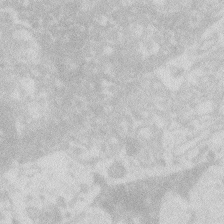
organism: Zebrafish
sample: Macrophage